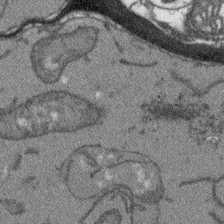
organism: Arabidopsis thaliana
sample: Root tip